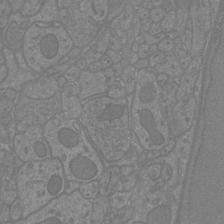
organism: Mouse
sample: Cortical neurons